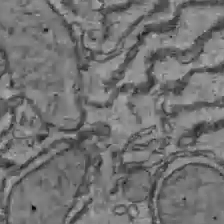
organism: C57BL Mouse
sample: Liver